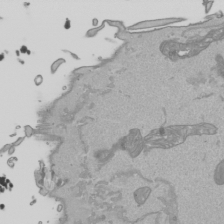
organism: Human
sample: Mitochondria in HCT116 cells